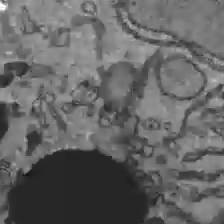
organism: C57BL Mouse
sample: Liver